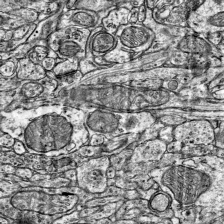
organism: Mouse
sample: Visual Cortex